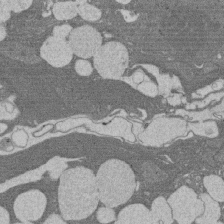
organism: Rat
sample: Salivary granule